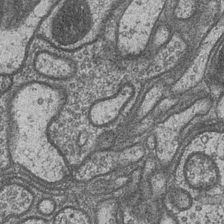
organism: Drosophila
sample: Optic medulla